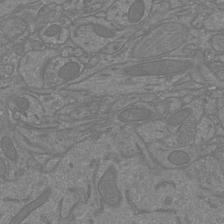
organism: Mouse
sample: Cortical neurons